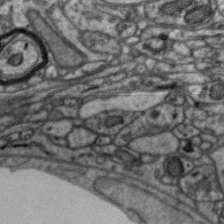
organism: Zebra finch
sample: Brain